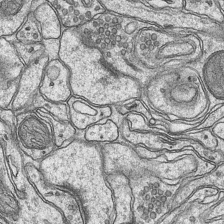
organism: Mouse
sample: CA1 Hippocampus